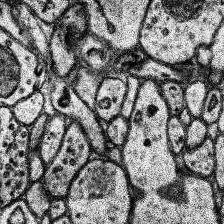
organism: Human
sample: Temporal Lobe